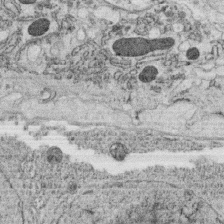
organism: C. elegans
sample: C. elegans oocyte; sperm cells